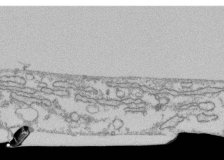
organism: Human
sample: Fibroblast cells